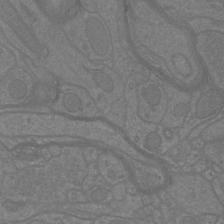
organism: Mouse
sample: Cortical neurons